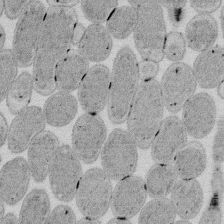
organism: E. coli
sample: Bacterial nucleoid